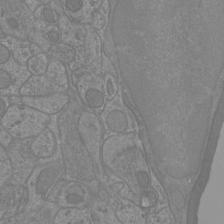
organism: Mouse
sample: Cortical neurons